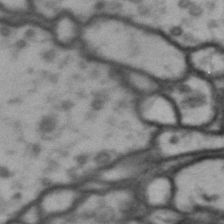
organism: Drosophila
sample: Brain